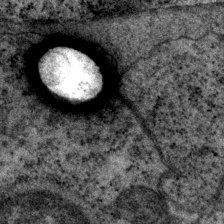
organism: P. pacificus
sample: Pharynx